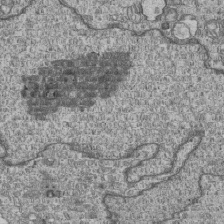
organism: Human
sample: MDA-MB-231 cells